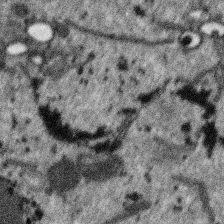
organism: Human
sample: Lung epithelial cells infected with SARS-CoV-2